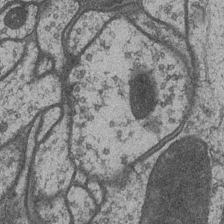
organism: Drosophila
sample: Optic medulla